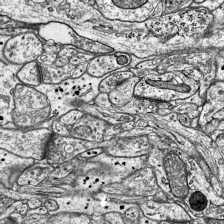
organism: Mouse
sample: Visual Cortex